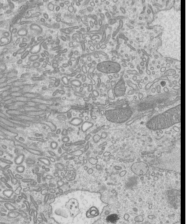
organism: Mouse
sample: Cilia; mouse epididymis